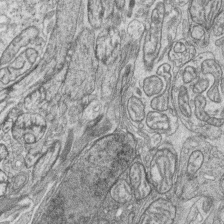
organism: Zebrafish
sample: synaptic ribbons in rod cells and cone cells